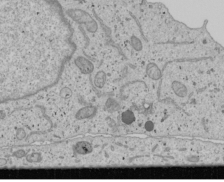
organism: Human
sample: Mitochondria in U2OS cells